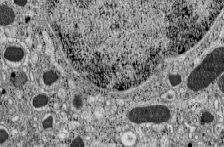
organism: C57BL Mouse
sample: Pancreatic islet